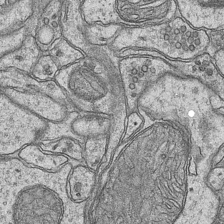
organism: Mouse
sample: CA1 Hippocampus